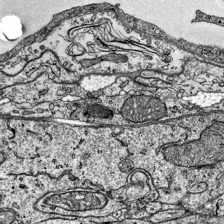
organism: Mouse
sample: Visual Cortex